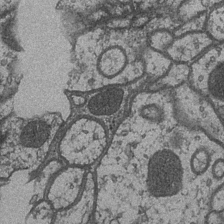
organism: Drosophila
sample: Optic medulla